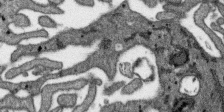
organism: Human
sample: Lung epithelial cells, uninfected (mock) control